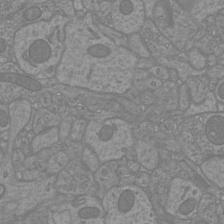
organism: Mouse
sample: Cortical neurons